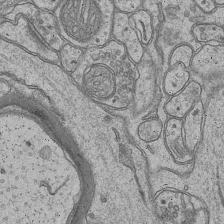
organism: Mouse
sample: CA1 Hippocampus